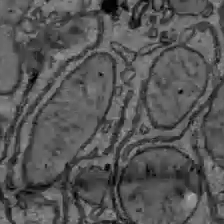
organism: C57BL Mouse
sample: Liver